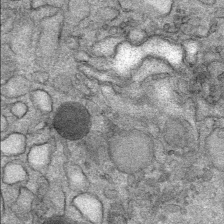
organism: Mouse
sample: Mouse Salivary gland